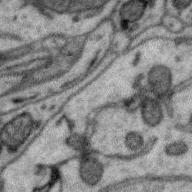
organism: Zebra finch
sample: Brain